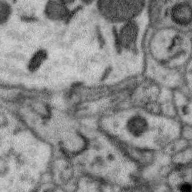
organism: Zebra finch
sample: Brain